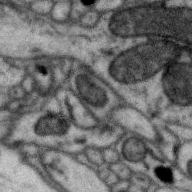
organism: Zebra finch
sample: Brain